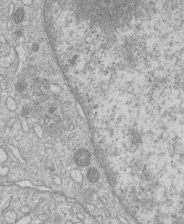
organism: Human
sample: Macrophage cells